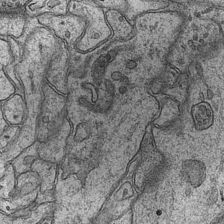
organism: Mouse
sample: CA1 Hippocampus